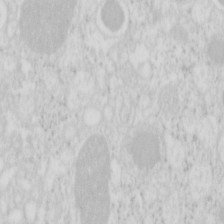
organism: Mouse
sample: Pancreas